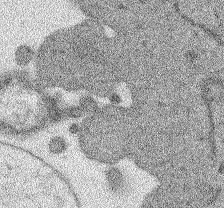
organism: Human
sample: HeLa cells